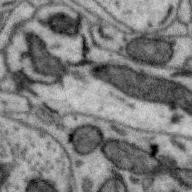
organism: Zebra finch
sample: Brain